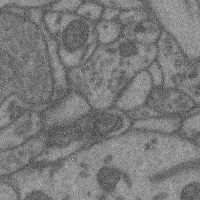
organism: Mouse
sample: Cerebral cortex